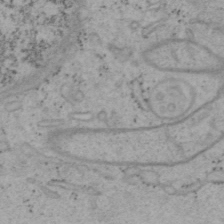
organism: Human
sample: HeLa cells